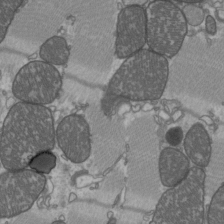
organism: C57BL Mouse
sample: Heart